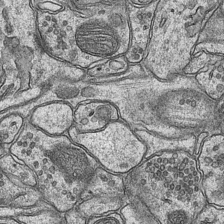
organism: Mouse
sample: CA1 Hippocampus